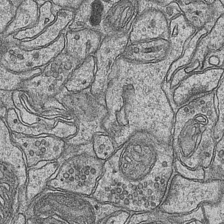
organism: Mouse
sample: CA1 Hippocampus